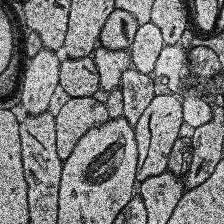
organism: Human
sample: Temporal Lobe